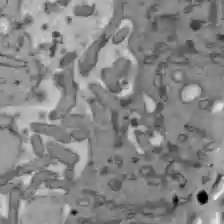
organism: C57BL Mouse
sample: Liver